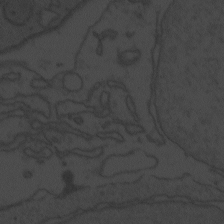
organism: Zebrafish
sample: Macrophage infected with Toxoplasma gondii